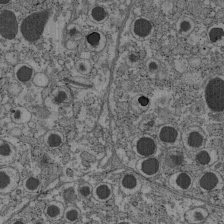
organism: C57BL Mouse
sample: Pancreatic islet